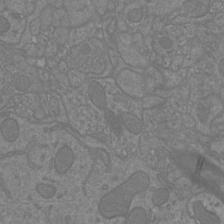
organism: Mouse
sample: Cortical neurons